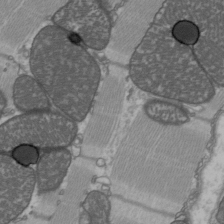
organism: C57BL Mouse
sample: Heart